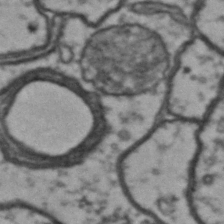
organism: Drosophila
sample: Brain